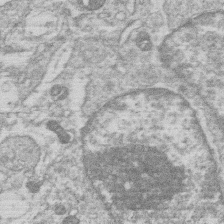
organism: Human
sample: Macrophage cells